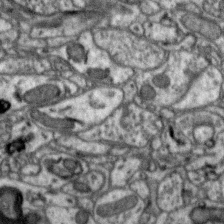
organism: Zebra finch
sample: Brain